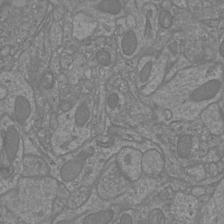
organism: Mouse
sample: Cortical neurons